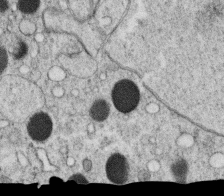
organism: C. elegans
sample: C. elegans oocyte; sperm cells